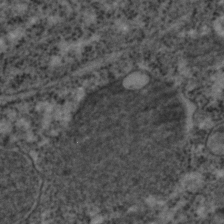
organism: C. elegans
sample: C. elegans embryo